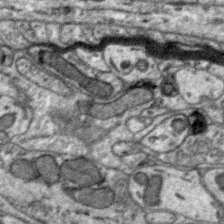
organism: Zebra finch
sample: Brain